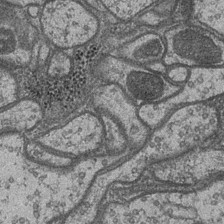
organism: Drosophila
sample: Optic medulla